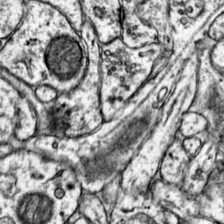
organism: Mouse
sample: Primary visual cortex